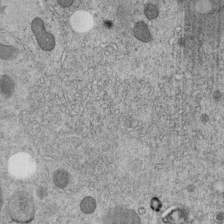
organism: C. elegans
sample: C. elegans embryo early stage